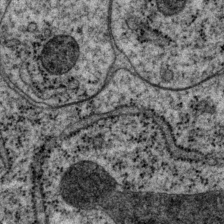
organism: P. pacificus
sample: Pharynx